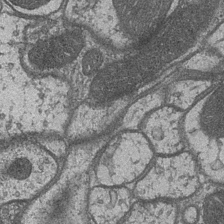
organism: Drosophila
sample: Optic medulla